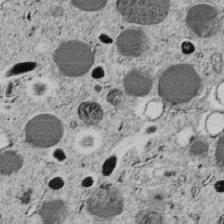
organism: C. elegans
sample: C. elegans embryo early stage